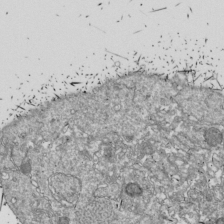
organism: Drosophila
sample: Cell division; meiosis; drosophila spermatocytes